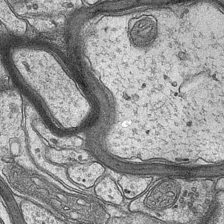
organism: Mouse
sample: CA1 Hippocampus